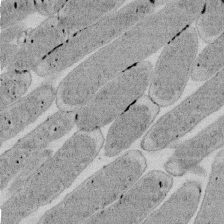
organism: E. coli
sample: Bacterial nucleoid